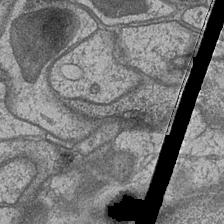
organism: Drosophila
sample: Optic medulla